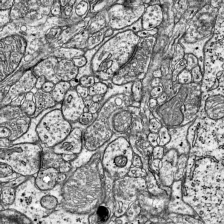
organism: Mouse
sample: Visual Cortex